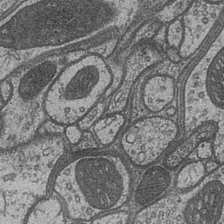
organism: Drosophila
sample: Optic medulla